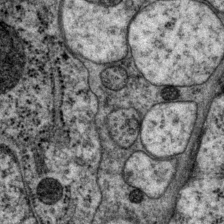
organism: P. pacificus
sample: Pharynx